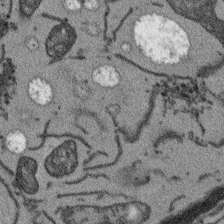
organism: Arabidopsis thaliana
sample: Root tip